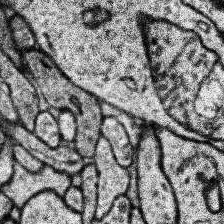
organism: Human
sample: Temporal Lobe